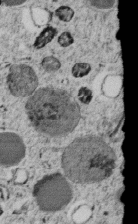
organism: C. elegans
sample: C. elegans embryo early stage